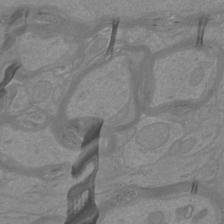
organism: Mouse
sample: Cortical neurons